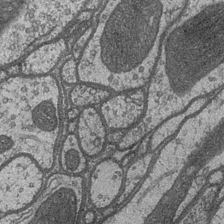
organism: Drosophila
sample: Optic medulla